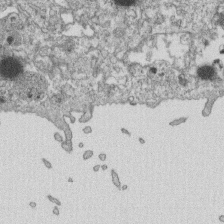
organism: Human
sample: HeLa cell HIV synapse